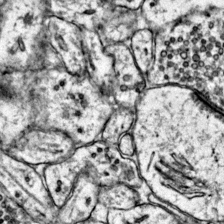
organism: Mouse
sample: Primary visual cortex